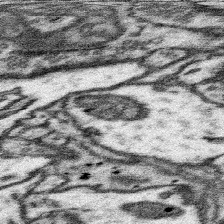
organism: Mouse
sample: Somatosensory cortex neuropil